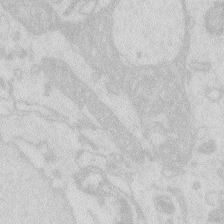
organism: Zebrafish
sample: Macrophage